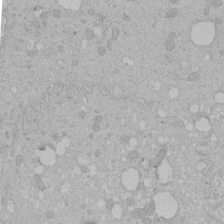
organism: Human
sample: Melanocyte Keratinocyte synapse skin construct